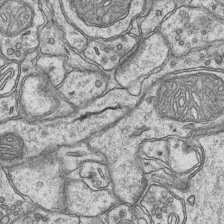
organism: Mouse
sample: CA1 Hippocampus